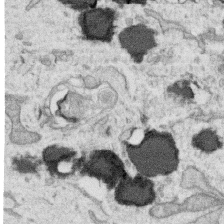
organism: Human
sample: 1205lu cells